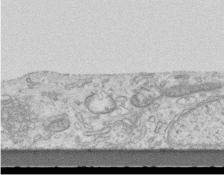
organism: Mouse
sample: Centriole in ependymal cells